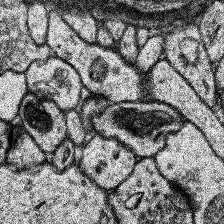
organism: Human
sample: Temporal Lobe